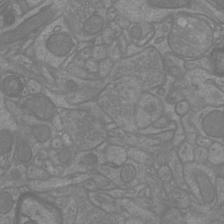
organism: Mouse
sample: Cortical neurons